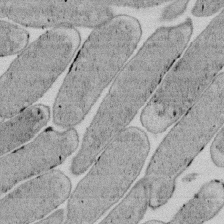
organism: E. coli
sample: Bacterial nucleoid